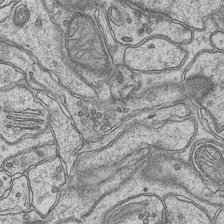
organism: Mouse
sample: CA1 Hippocampus